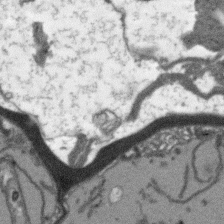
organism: Arabidopsis thaliana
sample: Root tip